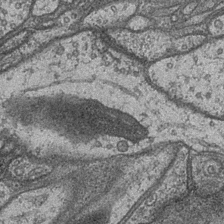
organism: Drosophila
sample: Optic medulla